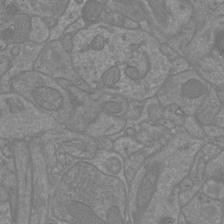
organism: Mouse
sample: Cortical neurons